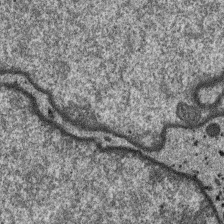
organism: Human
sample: Lung epithelial cells infected with SARS-CoV-2